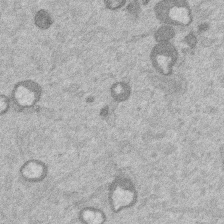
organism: Mouse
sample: Dividing mouse embryo 1 cell stage